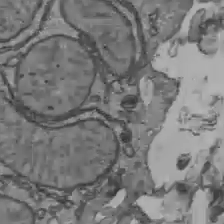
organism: C57BL Mouse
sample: Liver